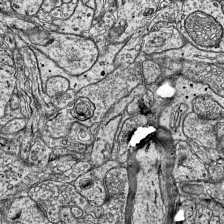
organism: Mouse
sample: Visual Cortex